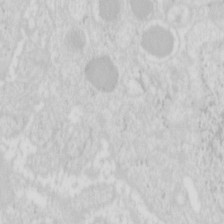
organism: Mouse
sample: Pancreas